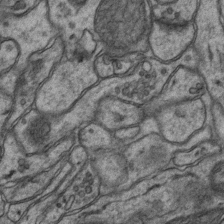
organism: Mouse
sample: CA1 Hippocampus